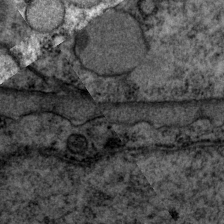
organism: P. pacificus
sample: Pharynx